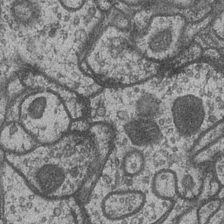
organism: Drosophila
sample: Optic medulla